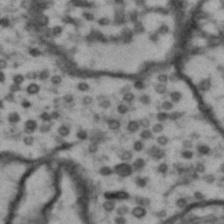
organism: Drosophila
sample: Brain